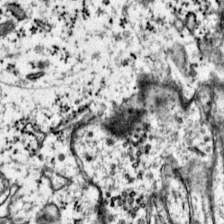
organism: Mouse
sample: Primary visual cortex